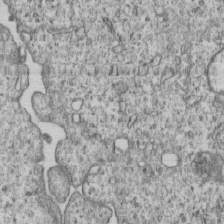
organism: Human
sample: MDA-MB-231 cells